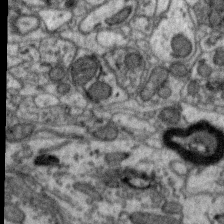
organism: Zebra finch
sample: Brain